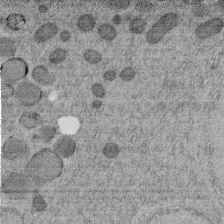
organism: C. elegans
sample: C. elegans embryo early stage